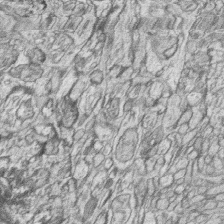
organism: Zebrafish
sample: synaptic ribbons in rod cells and cone cells